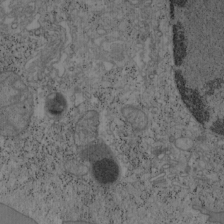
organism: Mouse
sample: OT-I killer T cells with ID8 ovarian cancer cells